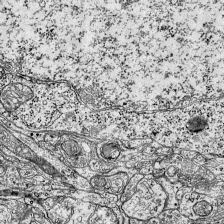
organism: Mouse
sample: Visual Cortex